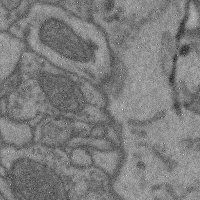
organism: Mouse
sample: Cerebral cortex